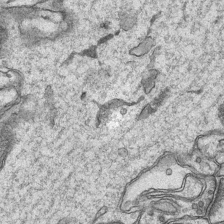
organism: Mouse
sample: CA1 Hippocampus